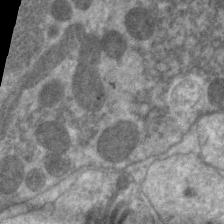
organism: C. elegans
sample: Pharynx